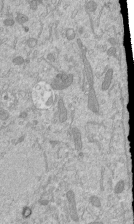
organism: Mouse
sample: ED-1 cell nuclei; centrioles